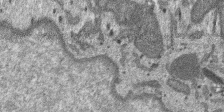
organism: Human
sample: Lung epithelial cells infected with SARS-CoV-2